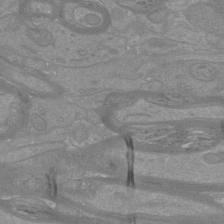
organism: Mouse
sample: Cortical neurons